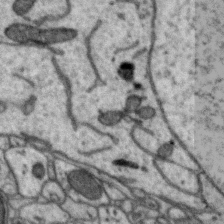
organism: Zebra finch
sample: Brain